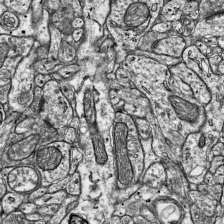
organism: Mouse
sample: Visual Cortex